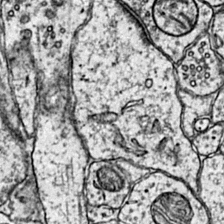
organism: Mouse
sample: Primary visual cortex